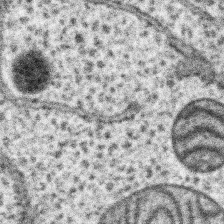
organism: Human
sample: HeLa cells